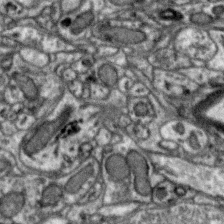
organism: Zebra finch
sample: Brain